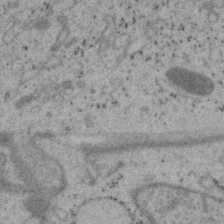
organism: Human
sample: HeLa cells